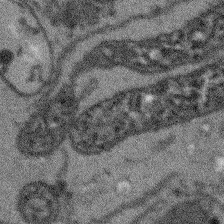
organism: Arabidopsis thaliana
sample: Root tip